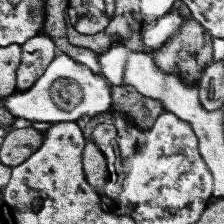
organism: Human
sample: Temporal Lobe